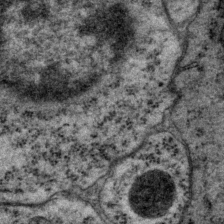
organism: P. pacificus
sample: Pharynx